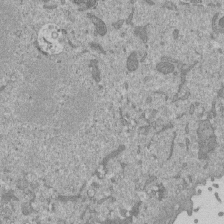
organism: Mouse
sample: ED-1 cell nuclei; centrioles